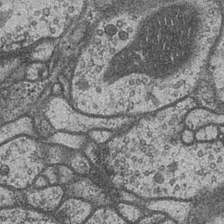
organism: Drosophila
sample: Optic medulla